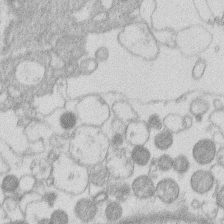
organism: Human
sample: Macrophage cells